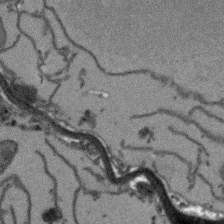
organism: Arabidopsis thaliana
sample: Root tip